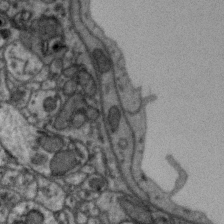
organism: Zebra finch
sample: Brain